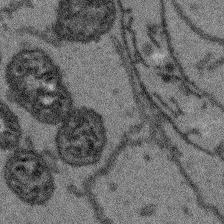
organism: Arabidopsis thaliana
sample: Root tip